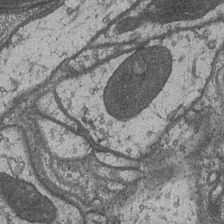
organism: Drosophila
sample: Optic medulla